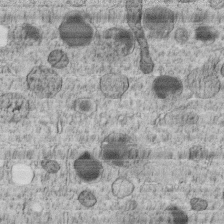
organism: C. elegans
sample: C. elegans embryo early stage